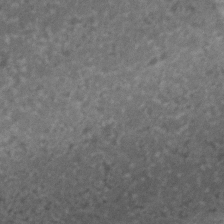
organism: C. elegans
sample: C. elegans embryo